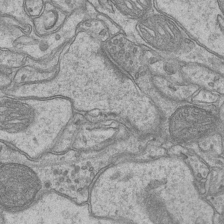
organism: Mouse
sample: CA1 Hippocampus